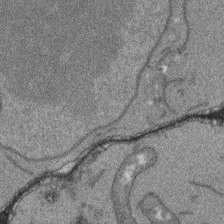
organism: Arabidopsis thaliana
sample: Root tip